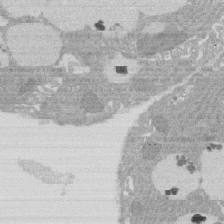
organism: Rat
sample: Salivary granule